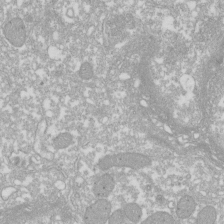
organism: Xenopus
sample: Cilia; centrioles in frog embryo cells